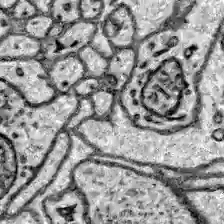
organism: Zebrafish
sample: Brain